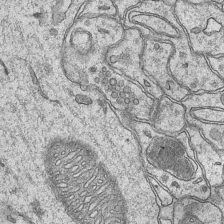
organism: Mouse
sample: CA1 Hippocampus